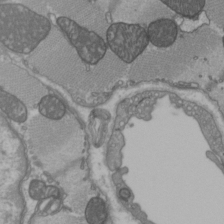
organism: C57BL Mouse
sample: Heart